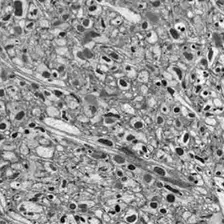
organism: Drosophila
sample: Optic lobe